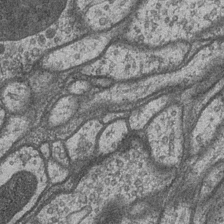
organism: Drosophila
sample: Optic medulla